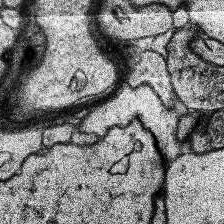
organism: Human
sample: Temporal Lobe